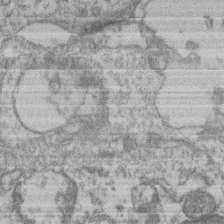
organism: Mouse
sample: T cell stromal cell synapse